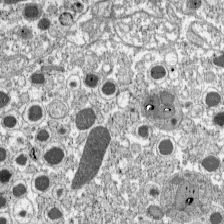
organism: C57BL Mouse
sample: Pancreatic islet